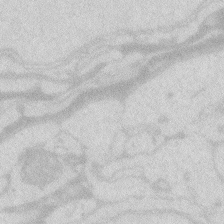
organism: Zebrafish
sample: Macrophage